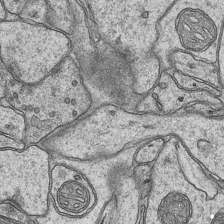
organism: Mouse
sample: CA1 Hippocampus